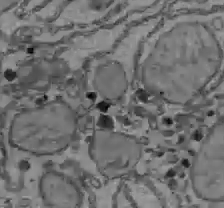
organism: C57BL Mouse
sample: Liver